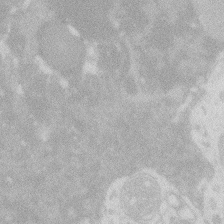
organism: Zebrafish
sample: Macrophage